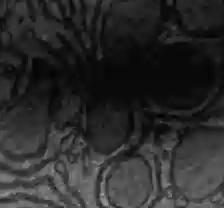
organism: C57BL Mouse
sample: Liver